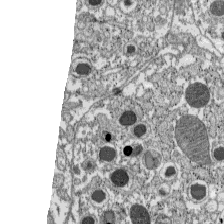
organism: C57BL Mouse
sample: Pancreatic islet